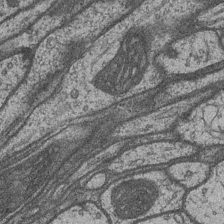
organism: Drosophila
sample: Optic medulla